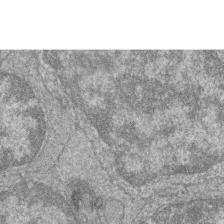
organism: Zebrafish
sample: Cilia; retinal pigment epithelium